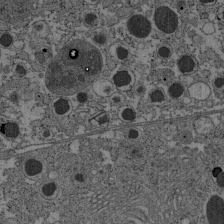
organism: C57BL Mouse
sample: Pancreatic islet